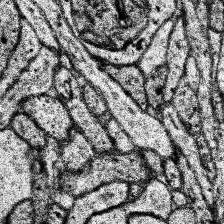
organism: Human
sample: Temporal Lobe